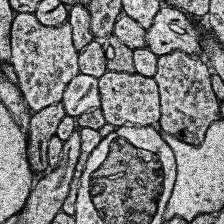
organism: Human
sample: Temporal Lobe